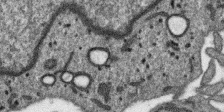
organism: Human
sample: Lung epithelial cells infected with SARS-CoV-2